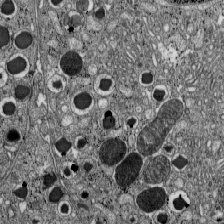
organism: C57BL Mouse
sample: Pancreatic islet